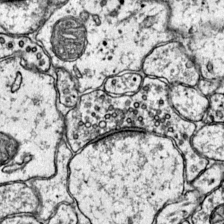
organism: Mouse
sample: Primary visual cortex